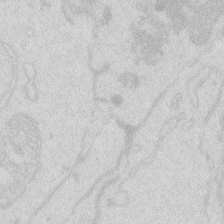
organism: Zebrafish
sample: Macrophage